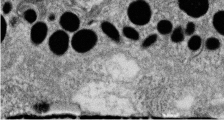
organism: Zebrafish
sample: Cilia; retinal pigment epithelium